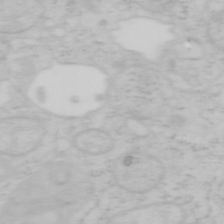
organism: Mouse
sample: OT-I killer T cells with ID8 ovarian cancer cells